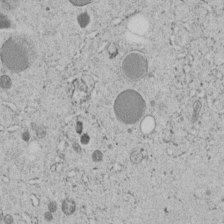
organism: C. elegans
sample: C. elegans embryo early stage